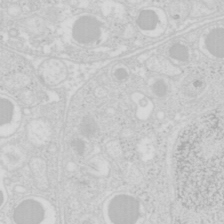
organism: Mouse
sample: Pancreas